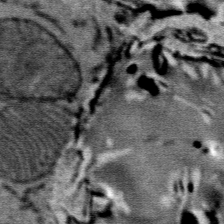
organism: Mouse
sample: Mouse Salivary gland